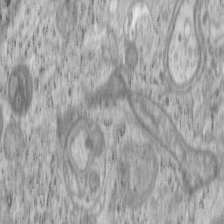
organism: Human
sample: HeLa cells